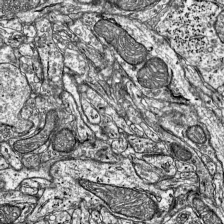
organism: Mouse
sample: Visual Cortex